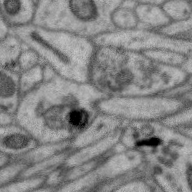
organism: Zebra finch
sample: Brain